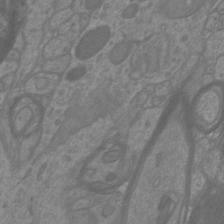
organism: Mouse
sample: Cortical neurons